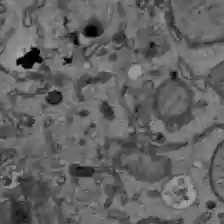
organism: C57BL Mouse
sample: Liver